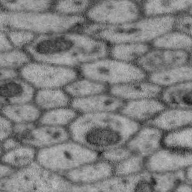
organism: Zebra finch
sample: Brain